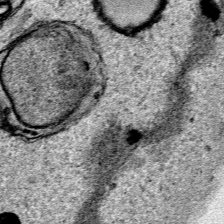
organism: Human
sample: Mitochondria in HCT116 cells